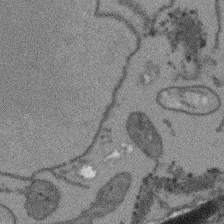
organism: Arabidopsis thaliana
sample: Root tip